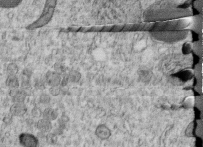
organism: C. elegans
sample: C. elegans embryo early stage